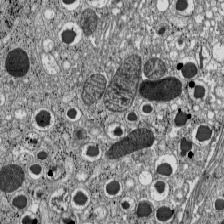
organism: C57BL Mouse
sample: Pancreatic islet